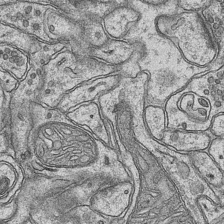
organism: Mouse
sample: CA1 Hippocampus